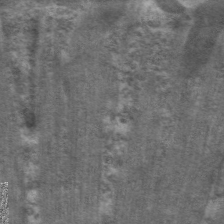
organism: C. elegans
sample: Pharynx